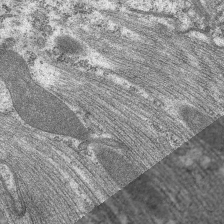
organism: C. elegans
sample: Pharynx